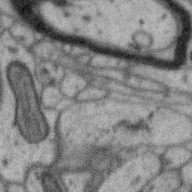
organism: Zebra finch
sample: Brain